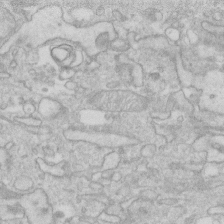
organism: Human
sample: Fibroblast cells